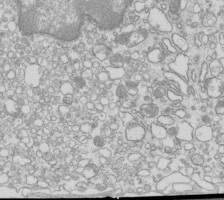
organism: Mouse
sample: Macrophages